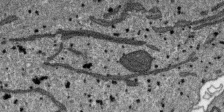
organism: Human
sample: Lung epithelial cells, uninfected (mock) control